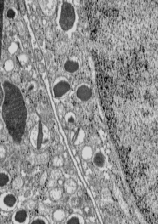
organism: C57BL Mouse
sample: Pancreatic islet